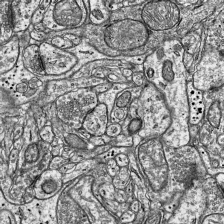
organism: Mouse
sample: Visual Cortex